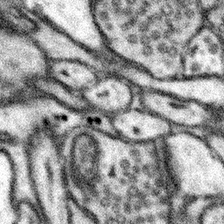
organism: Mouse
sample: Somatosensory cortex neuropil